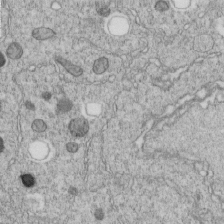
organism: C. elegans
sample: C. elegans embryo early stage